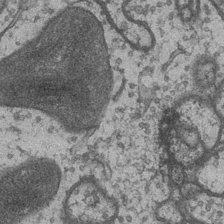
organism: Drosophila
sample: Optic medulla